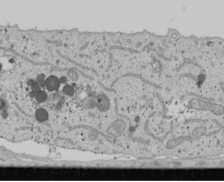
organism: Human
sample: Mitochondria in U2OS cells